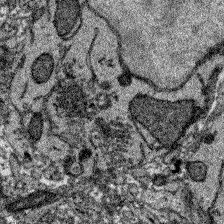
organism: Zebrafish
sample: Larval olfactory bulb